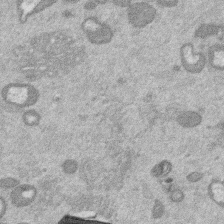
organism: Mouse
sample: Dividing mouse embryo 1 cell stage